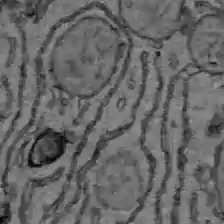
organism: C57BL Mouse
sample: Liver